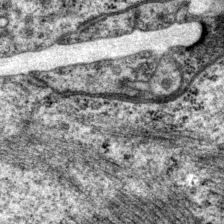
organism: P. pacificus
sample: Pharynx